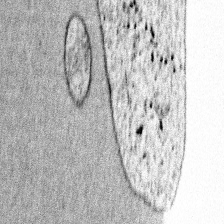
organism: Human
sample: HeLa cells